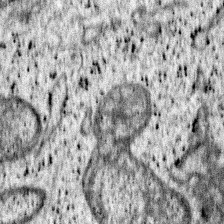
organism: Human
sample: HeLa cells